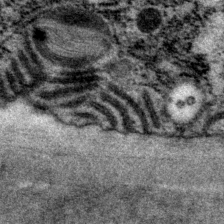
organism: P. pacificus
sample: Pharynx